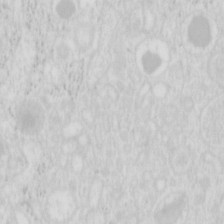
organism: Mouse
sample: Pancreas